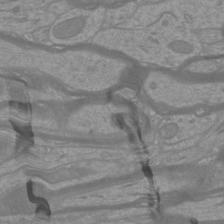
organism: Mouse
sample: Cortical neurons